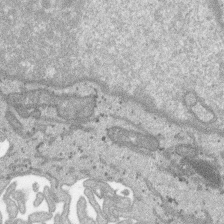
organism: Human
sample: Lung epithelial cells infected with SARS-CoV-2